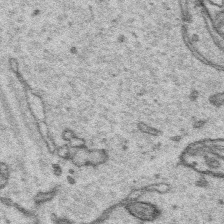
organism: Platynereis dumerilii